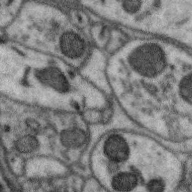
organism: Zebra finch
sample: Brain